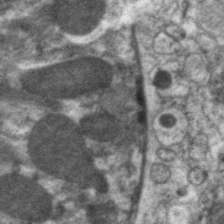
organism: C. elegans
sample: Pharynx